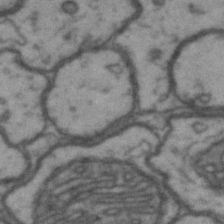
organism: Drosophila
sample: Brain